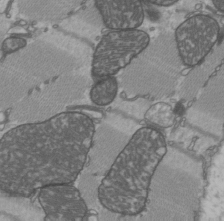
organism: C57BL Mouse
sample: Heart